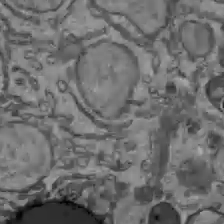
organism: C57BL Mouse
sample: Liver